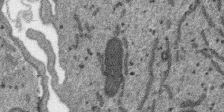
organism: Human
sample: Lung epithelial cells infected with SARS-CoV-2